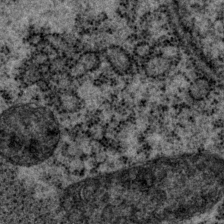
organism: P. pacificus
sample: Pharynx